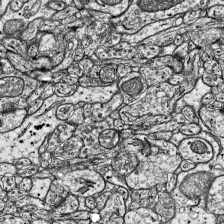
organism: Mouse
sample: Visual Cortex